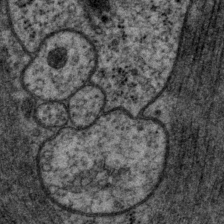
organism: P. pacificus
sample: Pharynx